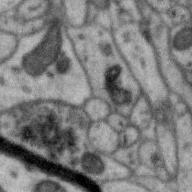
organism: Zebra finch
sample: Brain